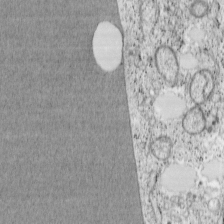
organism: African green monkey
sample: COS-7 cells